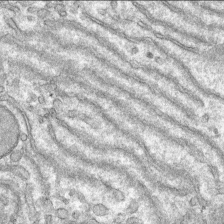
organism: Mouse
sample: Mouse hepatocytes